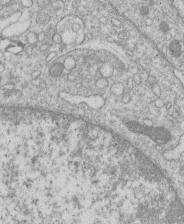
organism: Human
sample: Macrophage cells